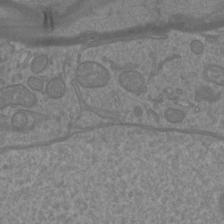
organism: Mouse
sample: Cortical neurons